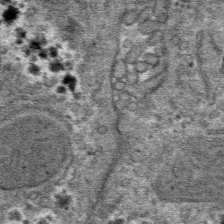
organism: Mouse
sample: Mouse hepatocytes